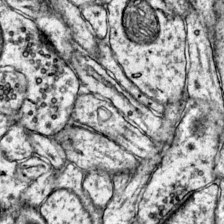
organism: Mouse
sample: Primary visual cortex